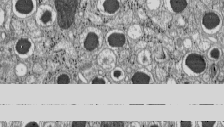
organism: C57BL Mouse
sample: Pancreatic islet